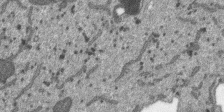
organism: Human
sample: Lung epithelial cells infected with SARS-CoV-2